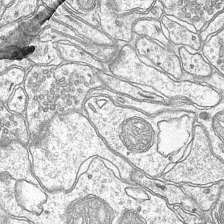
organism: Mouse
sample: CA1 Hippocampus